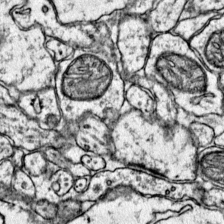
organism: Mouse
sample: Primary visual cortex